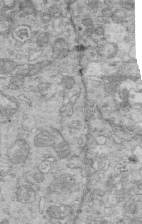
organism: Mouse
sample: Multiciliated cells